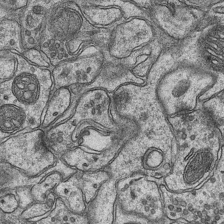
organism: Mouse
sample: CA1 Hippocampus